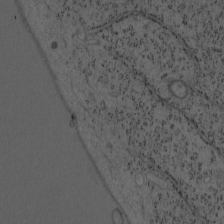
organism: Mouse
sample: OT-I killer T cells with ID8 ovarian cancer cells